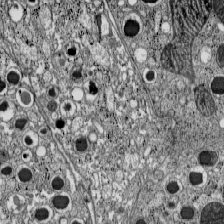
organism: C57BL Mouse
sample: Pancreatic islet